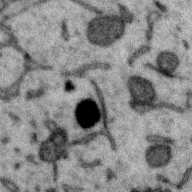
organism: Zebra finch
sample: Brain